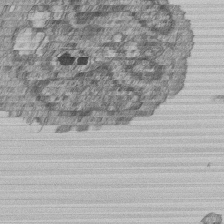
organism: Human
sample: MDA-MB-231 cells